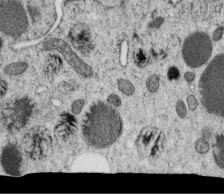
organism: C. elegans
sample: C. elegans oocyte; sperm cells